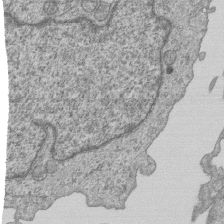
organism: Human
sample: MDA-MB-231 cells